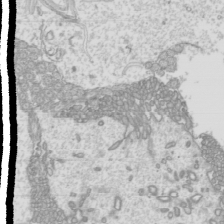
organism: Mouse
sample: Cilia; mouse epididymis